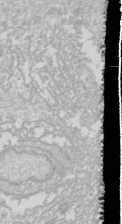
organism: Drosophila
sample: Cell division; meiosis; drosophila spermatocytes